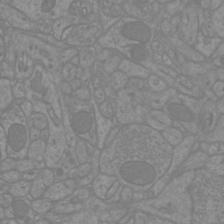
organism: Mouse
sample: Cortical neurons